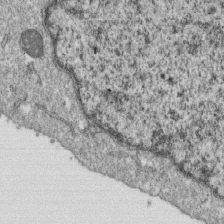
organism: African green monkey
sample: Vero E6 cells infected with SARS-CoV-2